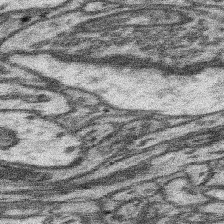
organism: Mouse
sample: Somatosensory cortex neuropil